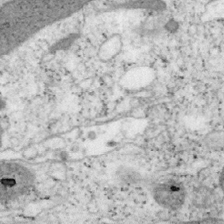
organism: Mouse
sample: OT-I killer T cells with ID8 ovarian cancer cells